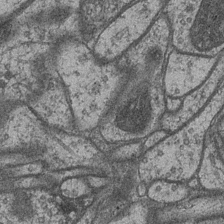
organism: Drosophila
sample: Optic medulla